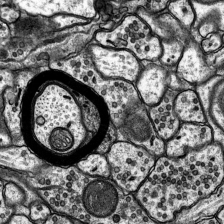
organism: Rat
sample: Hippocampus